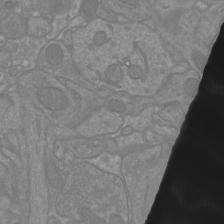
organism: Mouse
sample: Cortical neurons